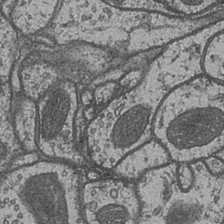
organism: Drosophila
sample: Optic medulla